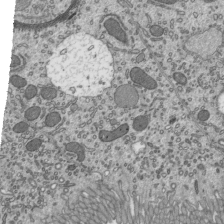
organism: Mouse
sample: Mouse epididymis efferent ductule cilia